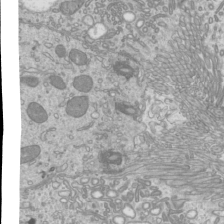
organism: Mouse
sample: Cilia; mouse epididymis